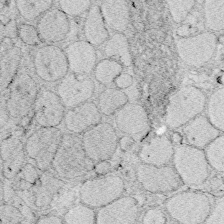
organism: Zebrafish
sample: Whole-Brain